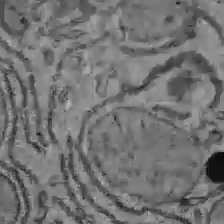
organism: C57BL Mouse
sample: Liver